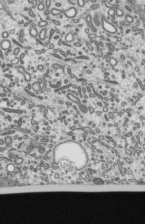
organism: Mouse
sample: Mouse epididymis efferent ductule cilia